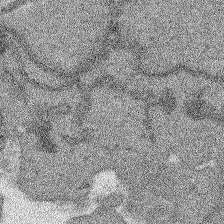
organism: Human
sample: HeLa cells